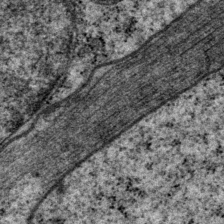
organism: P. pacificus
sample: Pharynx